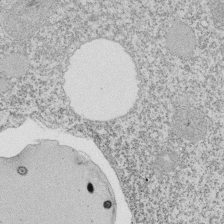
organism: Tetrahymena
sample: Cilia in tetrahymena